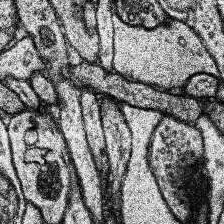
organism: Human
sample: Temporal Lobe